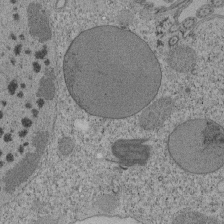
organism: Tetrahymena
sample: Cilia in tetrahymena